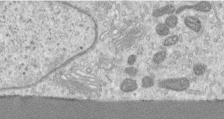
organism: Human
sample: Centriole in RPE cells